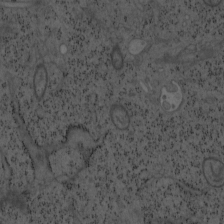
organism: Mouse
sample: OT-I killer T cells with ID8 ovarian cancer cells